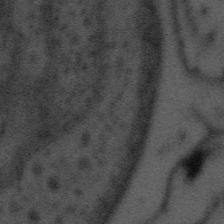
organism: Tuwongella immobilis